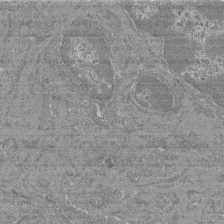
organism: Mouse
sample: Glomerulus